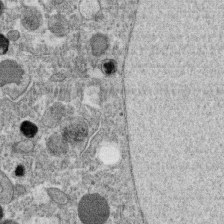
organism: C. elegans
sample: C. elegans oocyte; sperm cells